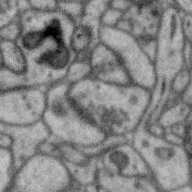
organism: Zebra finch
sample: Brain